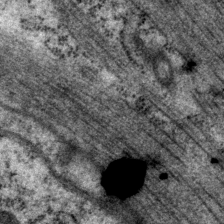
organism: P. pacificus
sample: Pharynx